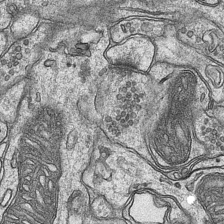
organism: Mouse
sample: CA1 Hippocampus